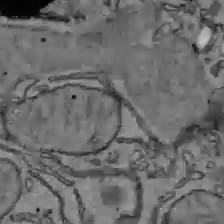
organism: C57BL Mouse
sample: Liver